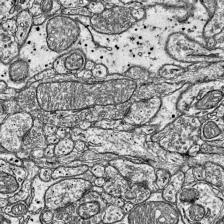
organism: Mouse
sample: Visual Cortex